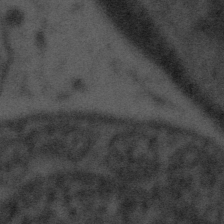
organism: Tuwongella immobilis